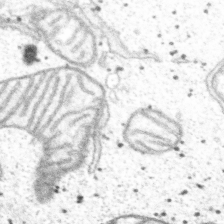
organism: Human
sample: HeLa cells